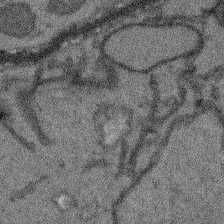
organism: Arabidopsis thaliana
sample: Root tip